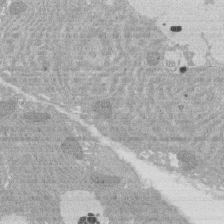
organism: Rat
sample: Salivary granule